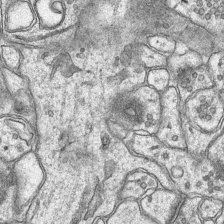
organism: Mouse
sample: CA1 Hippocampus